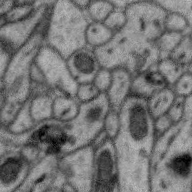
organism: Zebra finch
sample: Brain